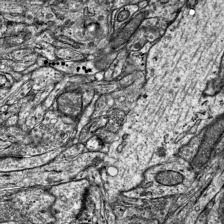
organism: Mouse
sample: Visual Cortex